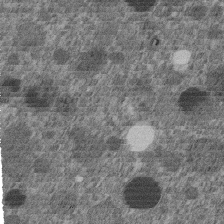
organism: C. elegans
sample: C. elegans embryo early stage